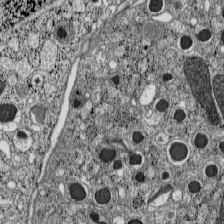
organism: C57BL Mouse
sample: Pancreatic islet